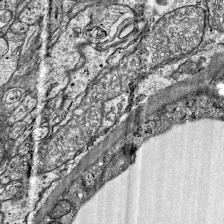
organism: Mouse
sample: Visual Cortex